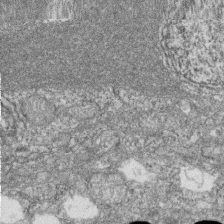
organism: Zebrafish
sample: Cilia; retinal pigment epithelium